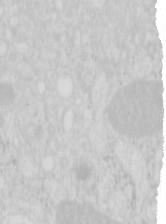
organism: Mouse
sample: Pancreas